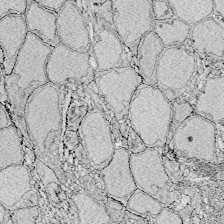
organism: Zebrafish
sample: Whole-Brain